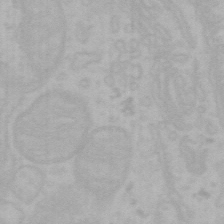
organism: Mouse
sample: Choroid plexus